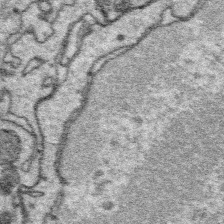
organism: Platynereis dumerilii